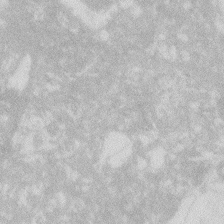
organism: Zebrafish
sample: Macrophage